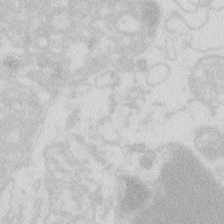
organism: Zebrafish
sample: Macrophage